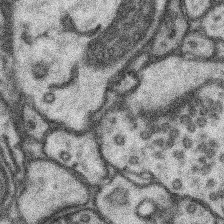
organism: Mouse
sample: Somatosensory cortex neuropil